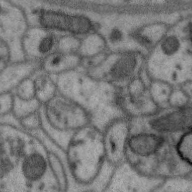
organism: Zebra finch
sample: Brain